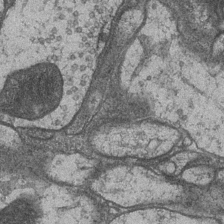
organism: Drosophila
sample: Optic medulla